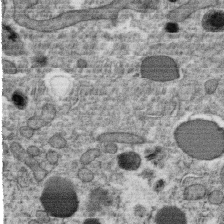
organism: C. elegans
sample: C. elegans oocyte; sperm cells